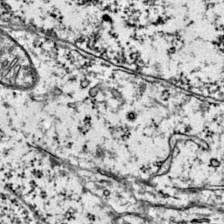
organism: Mouse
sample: Primary visual cortex